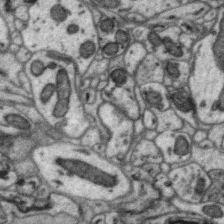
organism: Zebra finch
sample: Brain